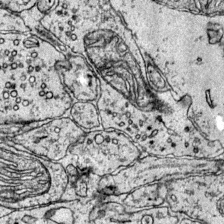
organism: Mouse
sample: Primary visual cortex